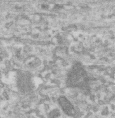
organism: Human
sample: Centriole in RPE cells